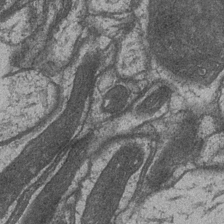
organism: Drosophila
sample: Optic medulla